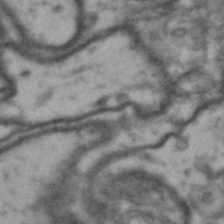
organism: Drosophila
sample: Brain